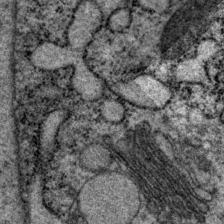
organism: P. pacificus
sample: Pharynx